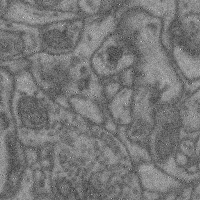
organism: Mouse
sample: Cerebral cortex